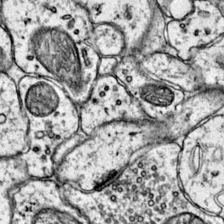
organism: Mouse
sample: Primary visual cortex